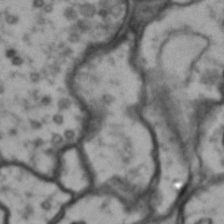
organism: Drosophila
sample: Brain